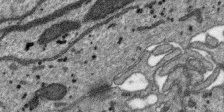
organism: Human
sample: Lung epithelial cells, uninfected (mock) control